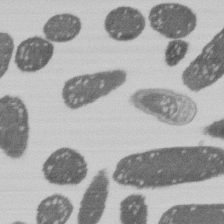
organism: E. coli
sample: Bacterial nucleoid